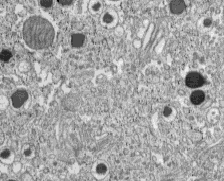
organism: C57BL Mouse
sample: Pancreatic islet